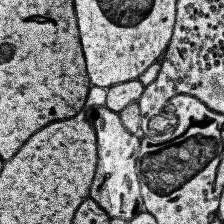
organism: Human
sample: Temporal Lobe